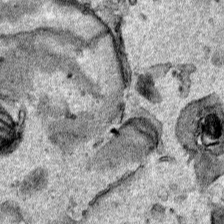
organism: Human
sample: Mitochondria in HCT116 cells